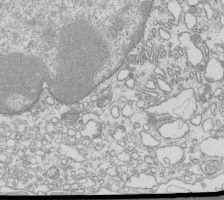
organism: Mouse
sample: Macrophages